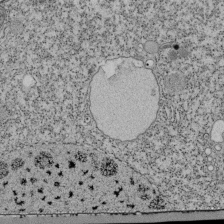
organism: Tetrahymena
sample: Cilia in tetrahymena